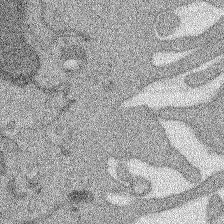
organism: Human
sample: HeLa cells